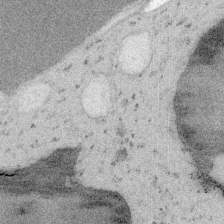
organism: Embia sp.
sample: Silk gland